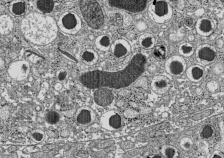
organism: C57BL Mouse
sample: Pancreatic islet